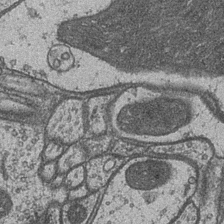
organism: Drosophila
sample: Optic medulla